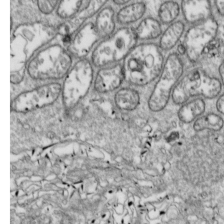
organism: Drosophila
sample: Cell division; meiosis; drosophila spermatocytes